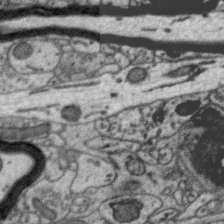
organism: Zebra finch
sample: Brain